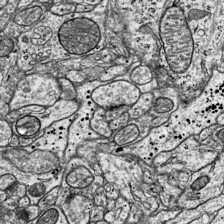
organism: Mouse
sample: Visual Cortex